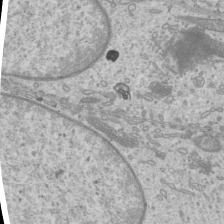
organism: Mouse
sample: Cilia; mouse epididymis